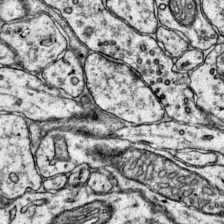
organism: Mouse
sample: Primary visual cortex